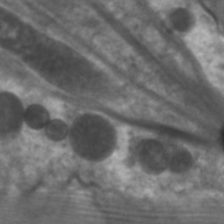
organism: C. elegans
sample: Pharynx